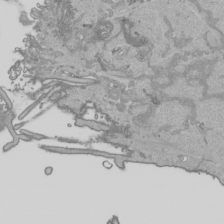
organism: Human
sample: Mitochondria in HCT116 cells